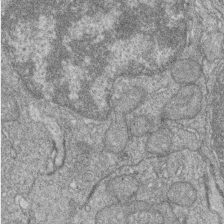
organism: Zebrafish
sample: Cilia; retinal pigment epithelium